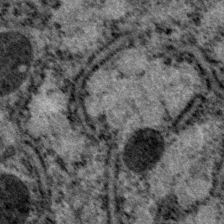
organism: P. pacificus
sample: Pharynx